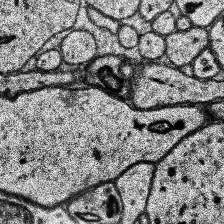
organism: Human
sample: Temporal Lobe